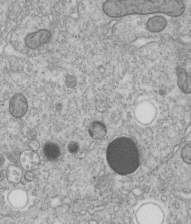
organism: C. elegans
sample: C. elegans embryo early stage